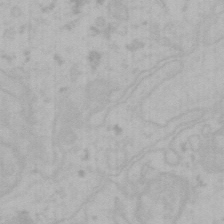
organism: Mouse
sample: Choroid plexus